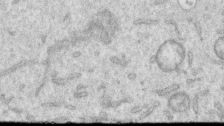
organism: Human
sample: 1205lu cells